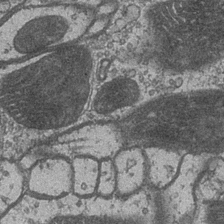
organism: Drosophila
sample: Optic medulla